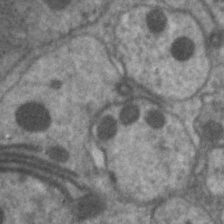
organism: C. elegans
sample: Pharynx